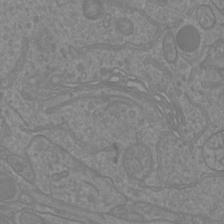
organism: Mouse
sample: Cortical neurons